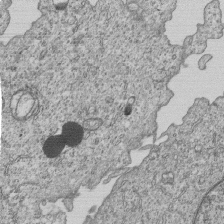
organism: Human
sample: MDA-MB-231 cells